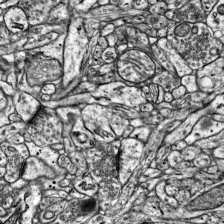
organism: Mouse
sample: Visual Cortex